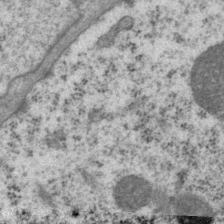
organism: P. pacificus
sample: Pharynx